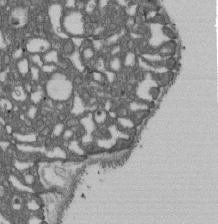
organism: Drosophila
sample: Nephrocyte